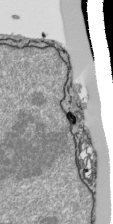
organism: Human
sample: Mitochondria in HCT116 cells